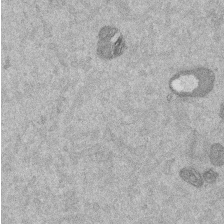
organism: Mouse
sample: Dividing mouse embryo 1 cell stage